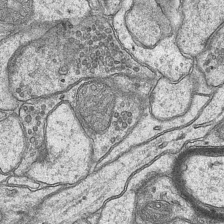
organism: Mouse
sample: CA1 Hippocampus